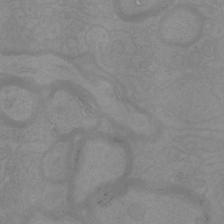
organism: Mouse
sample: Cortical neurons